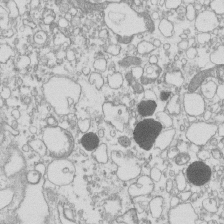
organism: Mouse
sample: Macrophages